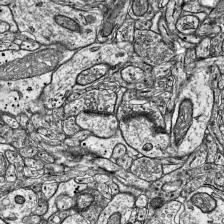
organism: Mouse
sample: Visual Cortex